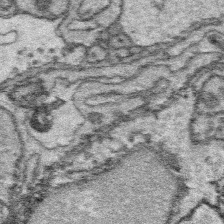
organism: Platynereis dumerilii